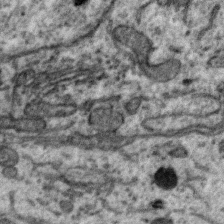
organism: Zebra finch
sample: Brain